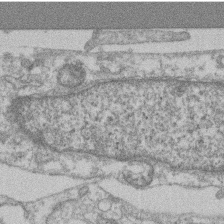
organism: Mouse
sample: T cell stromal cell synapse